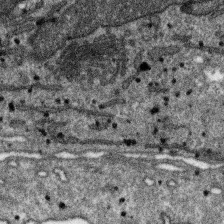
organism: Human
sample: Lung epithelial cells infected with SARS-CoV-2